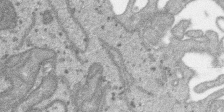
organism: Human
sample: Lung epithelial cells infected with SARS-CoV-2